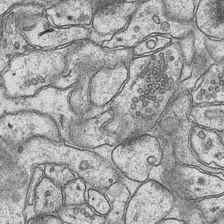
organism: Mouse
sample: CA1 Hippocampus